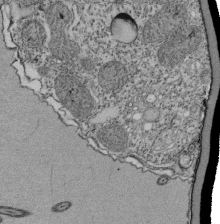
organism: Tetrahymena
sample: Cilia in tetrahymena